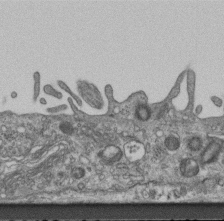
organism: Mouse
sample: Centriole in ependymal cells